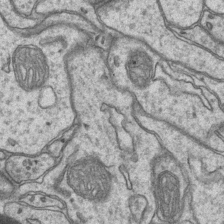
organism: Mouse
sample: CA1 Hippocampus